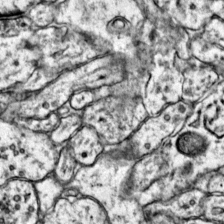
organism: Mouse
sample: Primary visual cortex